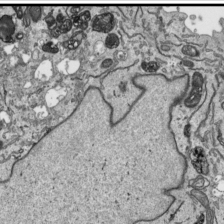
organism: Human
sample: Mitochondria in HCT116 cells